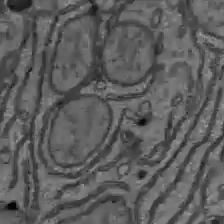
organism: C57BL Mouse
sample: Liver